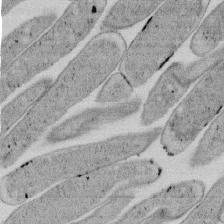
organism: E. coli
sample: Bacterial nucleoid